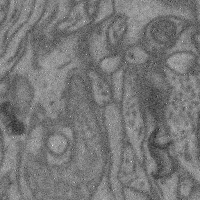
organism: Mouse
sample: Cerebral cortex